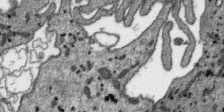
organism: Human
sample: Lung epithelial cells, uninfected (mock) control